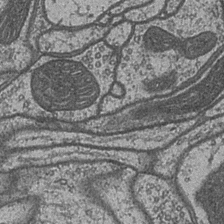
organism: Drosophila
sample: Optic medulla